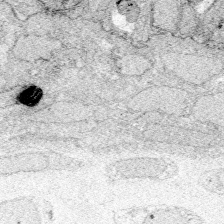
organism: Zebrafish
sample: Whole-Brain